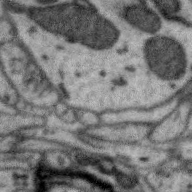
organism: Zebra finch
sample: Brain